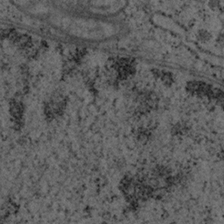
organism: Human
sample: HeLa cells